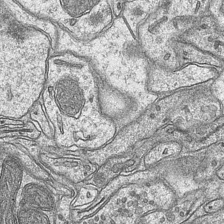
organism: Mouse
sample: CA1 Hippocampus